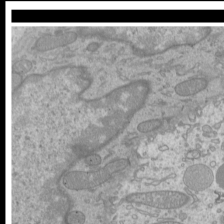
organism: Mouse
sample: Cilia; mouse epididymis